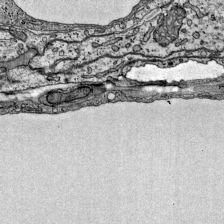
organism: Mouse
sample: Visual Cortex